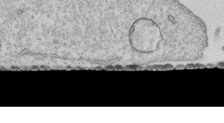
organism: Human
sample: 1205lu cells